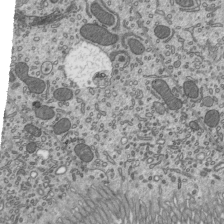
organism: Mouse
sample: Mouse epididymis efferent ductule cilia